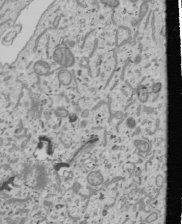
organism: Human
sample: Mitochondria in U2OS cells